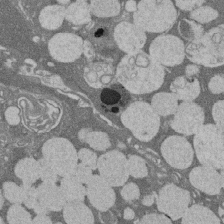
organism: Rat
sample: Salivary granule